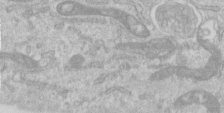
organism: Human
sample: Centriole in RPE cells